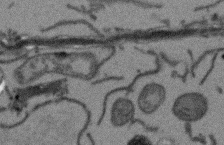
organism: Arabidopsis thaliana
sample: Root tip